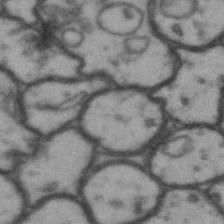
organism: Drosophila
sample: Brain